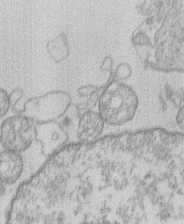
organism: Human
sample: Macrophage cells